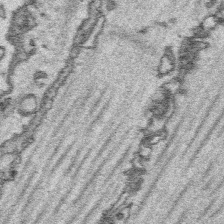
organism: Platynereis dumerilii